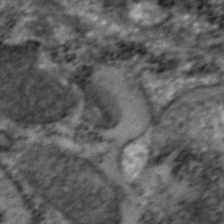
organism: Zebrafish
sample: Zebrafish embryo